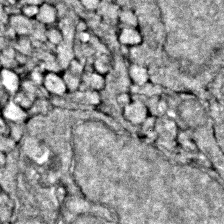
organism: Zebrafish